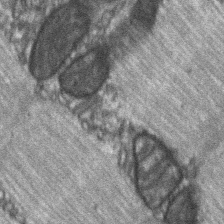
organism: C57BL Mouse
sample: Soleus